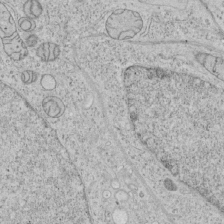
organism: Human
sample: Mitochondria in HCT116 cells